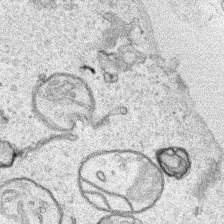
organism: Human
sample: Mitochondria in HCT116 cells